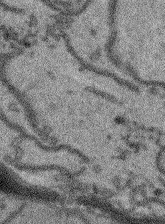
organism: Arabidopsis thaliana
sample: Root tip